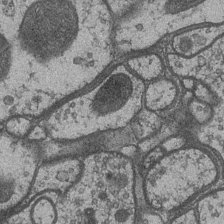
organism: Drosophila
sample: Optic medulla